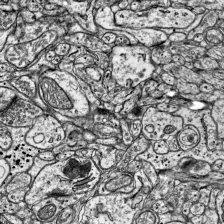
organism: Mouse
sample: Visual Cortex